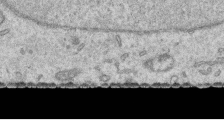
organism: Human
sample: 1205lu cells